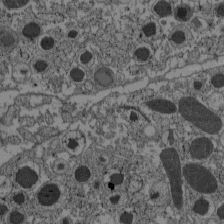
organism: C57BL Mouse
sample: Pancreatic islet